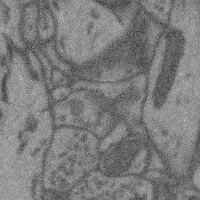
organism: Mouse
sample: Cerebral cortex